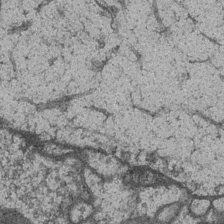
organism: Drosophila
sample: Optic medulla